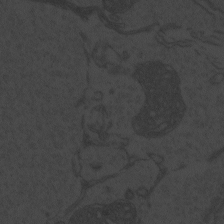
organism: Zebrafish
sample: Macrophage infected with Toxoplasma gondii